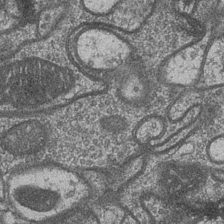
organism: Drosophila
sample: Optic medulla